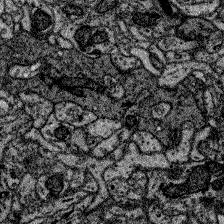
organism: Zebrafish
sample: Larval olfactory bulb